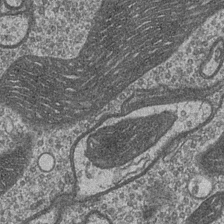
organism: Drosophila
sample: Optic medulla